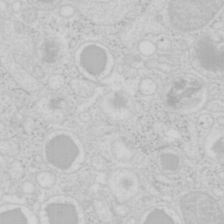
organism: Mouse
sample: Pancreas